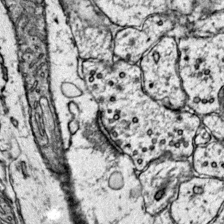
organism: Mouse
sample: Primary visual cortex